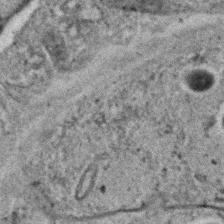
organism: C. elegans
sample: C. elegans embryo